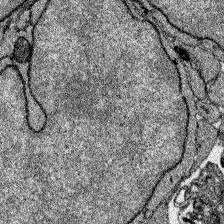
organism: Zebrafish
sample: Larval olfactory bulb